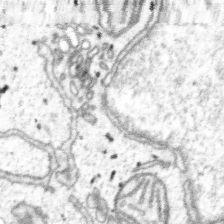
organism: Human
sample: HeLa cells